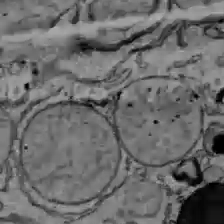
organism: C57BL Mouse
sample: Liver